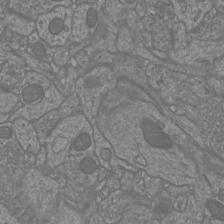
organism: Mouse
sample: Cortical neurons